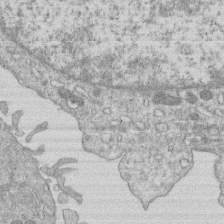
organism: Human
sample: Macrophage cells